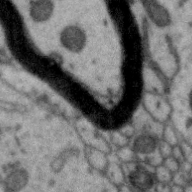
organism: Zebra finch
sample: Brain